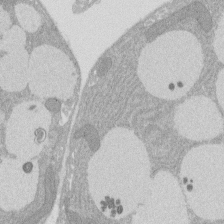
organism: Rat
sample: Salivary granule